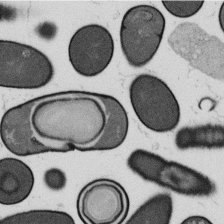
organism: B. subtilis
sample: Bacterial spore